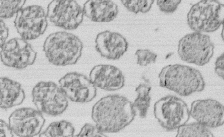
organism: E. coli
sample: Bacterial nucleoid